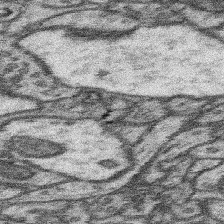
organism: Mouse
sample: Somatosensory cortex neuropil